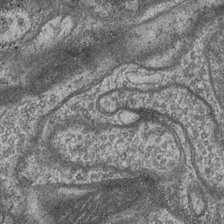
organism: Drosophila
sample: Optic medulla